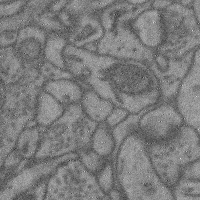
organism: Mouse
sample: Cerebral cortex